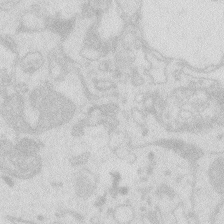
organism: Zebrafish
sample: Macrophage